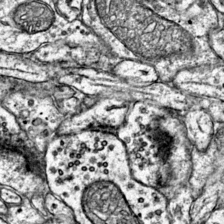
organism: Mouse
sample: Primary visual cortex